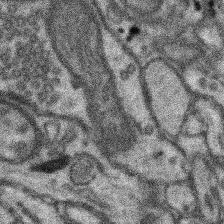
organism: Mouse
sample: Somatosensory cortex neuropil